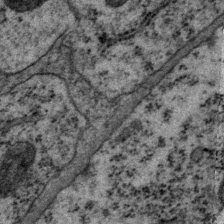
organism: P. pacificus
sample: Pharynx